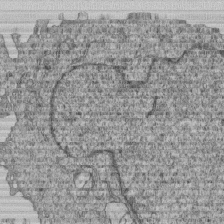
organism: Human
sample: MDA-MB-231 cells